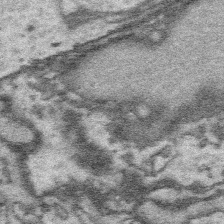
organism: Platynereis dumerilii